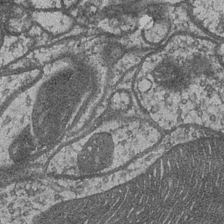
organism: Drosophila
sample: Optic medulla